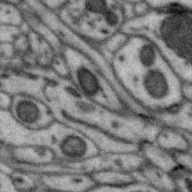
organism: Zebra finch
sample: Brain